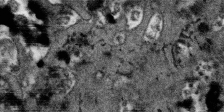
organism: Human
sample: Lung epithelial cells, uninfected (mock) control